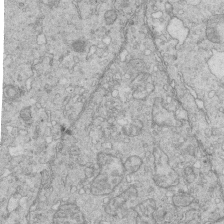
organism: Mouse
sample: Multiciliated cells